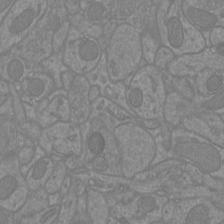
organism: Mouse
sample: Cortical neurons